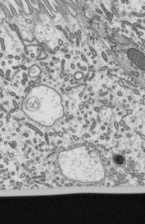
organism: Mouse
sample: Mouse epididymis efferent ductule cilia